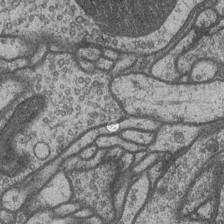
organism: Drosophila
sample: Optic medulla